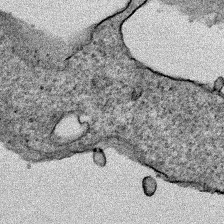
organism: Human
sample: Mitochondria in HCT116 cells